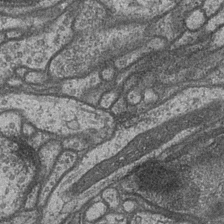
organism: Drosophila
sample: Optic medulla